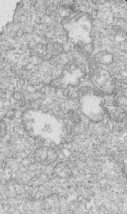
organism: Human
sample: HeLa cell HIV synapse